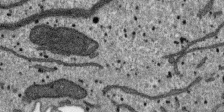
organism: Human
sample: Lung epithelial cells, uninfected (mock) control